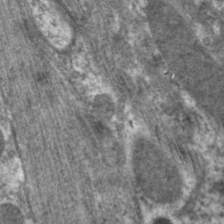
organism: C. elegans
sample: Pharynx